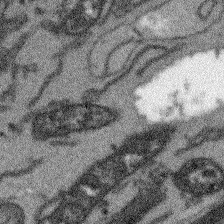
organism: Arabidopsis thaliana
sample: Root tip